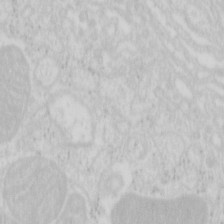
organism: Mouse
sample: Pancreas